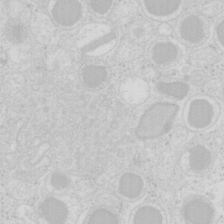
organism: Mouse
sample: Pancreas